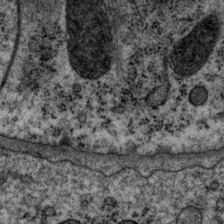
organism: P. pacificus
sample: Pharynx